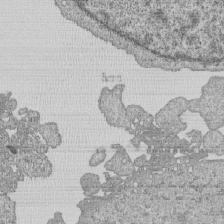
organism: Human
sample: MDA-MB-231 cells